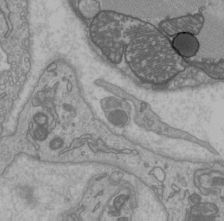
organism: C57BL Mouse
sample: Heart